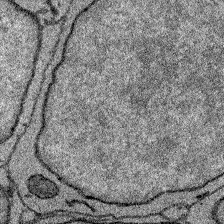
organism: Zebrafish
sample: Larval olfactory bulb